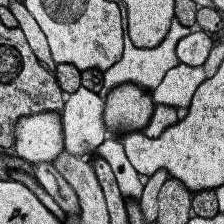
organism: Human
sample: Temporal Lobe